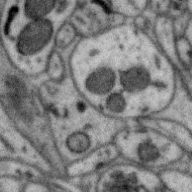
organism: Zebra finch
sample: Brain